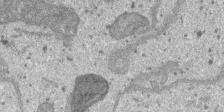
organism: Human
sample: Lung epithelial cells infected with SARS-CoV-2